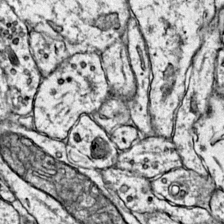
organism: Mouse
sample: Primary visual cortex